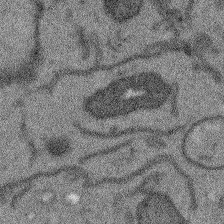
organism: Arabidopsis thaliana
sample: Root tip